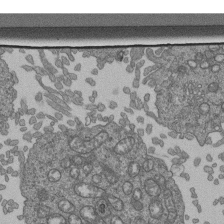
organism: Human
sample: Retinal organoid Rod and Cone cells